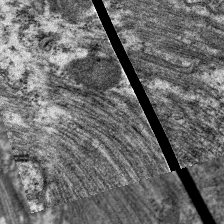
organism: C. elegans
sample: Pharynx